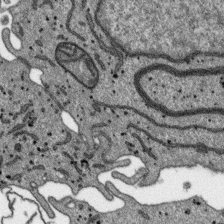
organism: Human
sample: Lung epithelial cells, uninfected (mock) control